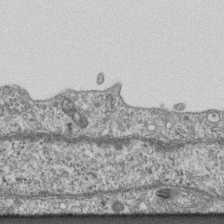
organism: Mouse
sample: Centriole in ependymal cells